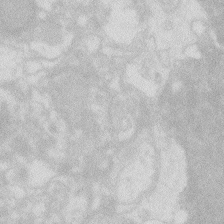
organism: Zebrafish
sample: Macrophage